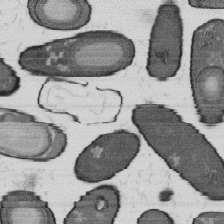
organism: B. subtilis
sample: Bacterial spore